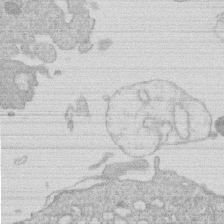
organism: Human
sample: Macrophage cells